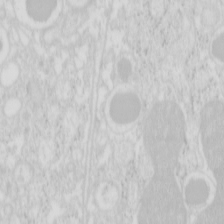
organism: Mouse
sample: Pancreas